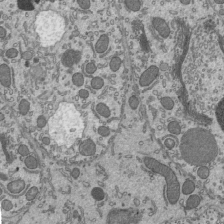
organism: Mouse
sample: Mouse epididymis efferent ductule cilia